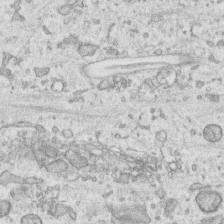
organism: Human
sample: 1205lu cells